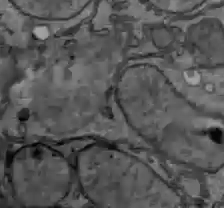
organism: C57BL Mouse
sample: Liver